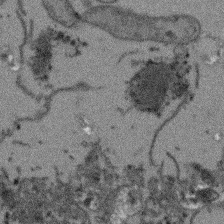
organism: Arabidopsis thaliana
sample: Root tip